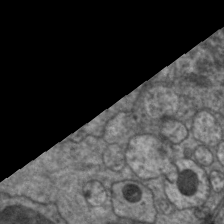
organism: C. elegans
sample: Pharynx